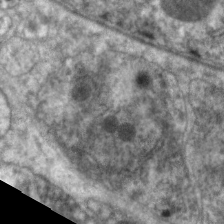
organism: C. elegans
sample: Pharynx